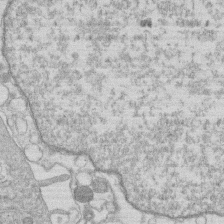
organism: Human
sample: Macrophage cells